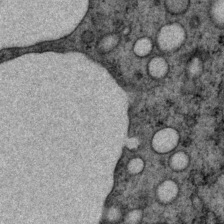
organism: P. pacificus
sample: Pharynx